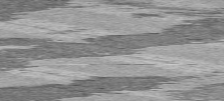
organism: C57BL Mouse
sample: Heart